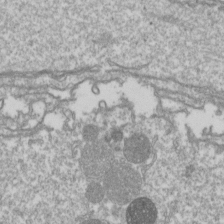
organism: Drosophila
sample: Cell division; meiosis; drosophila spermatocytes